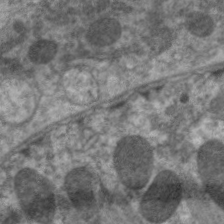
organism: C. elegans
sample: Pharynx